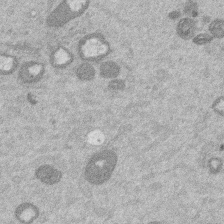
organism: Mouse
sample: Dividing mouse embryo 1 cell stage